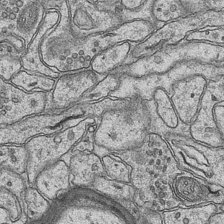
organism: Mouse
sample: CA1 Hippocampus